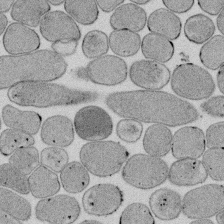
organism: E. coli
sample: Bacterial nucleoid